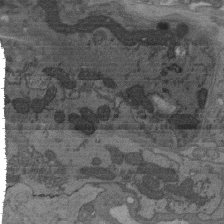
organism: C. elegans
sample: AFD neurons C. elegans